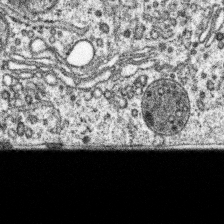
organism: Human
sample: HeLa cells